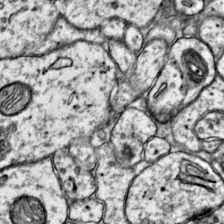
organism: Mouse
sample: Primary visual cortex